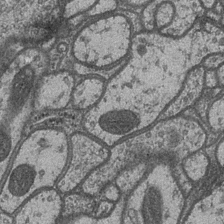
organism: Drosophila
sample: Optic medulla